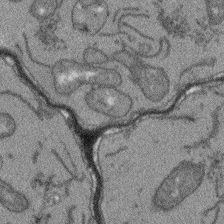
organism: Arabidopsis thaliana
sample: Root tip